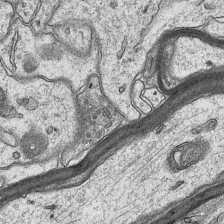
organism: Mouse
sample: CA1 Hippocampus